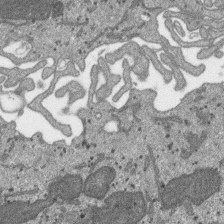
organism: Human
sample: Lung epithelial cells infected with SARS-CoV-2